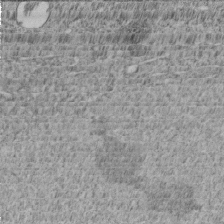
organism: C. elegans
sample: C. elegans embryo early stage